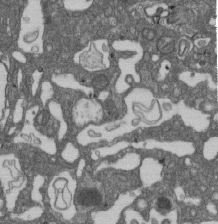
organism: Drosophila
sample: Nephrocyte